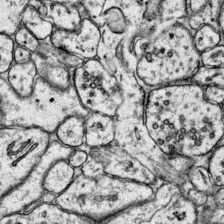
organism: Mouse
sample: Primary visual cortex